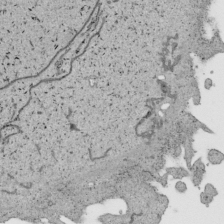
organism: Human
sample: Mitochondria in HCT116 cells